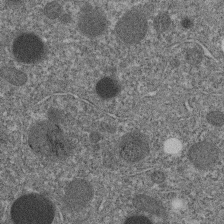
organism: C. elegans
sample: C. elegans embryo early stage